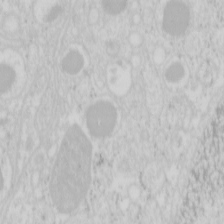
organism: Mouse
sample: Pancreas